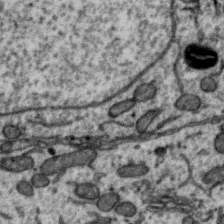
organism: Zebra finch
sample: Brain